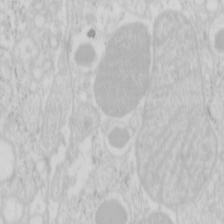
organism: Mouse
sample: Pancreas